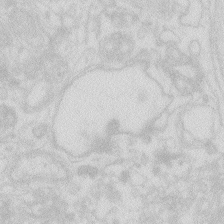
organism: Zebrafish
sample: Macrophage